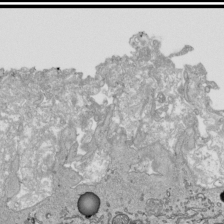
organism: Human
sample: Mitochondria in HCT116 cells